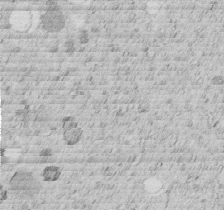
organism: C. elegans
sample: C. elegans embryo early stage